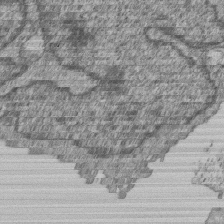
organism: Human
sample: MDA-MB-231 cells